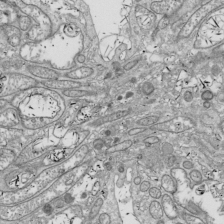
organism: Drosophila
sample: Cell division; meiosis; drosophila spermatocytes